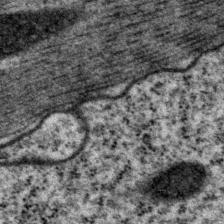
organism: P. pacificus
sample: Pharynx